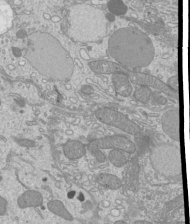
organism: Mouse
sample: Cilia; mouse epididymis